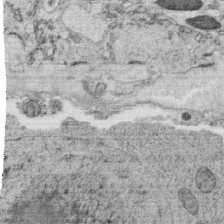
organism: C. elegans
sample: C. elegans oocyte; sperm cells